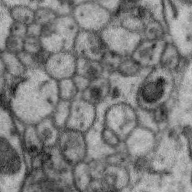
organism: Zebra finch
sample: Brain